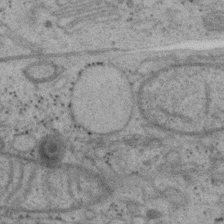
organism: Human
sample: HeLa cells